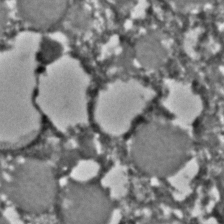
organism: C. elegans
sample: C. elegans embryo